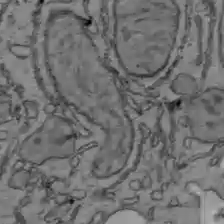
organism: C57BL Mouse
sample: Liver